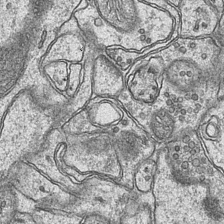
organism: Mouse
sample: CA1 Hippocampus